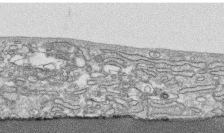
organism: Human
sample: CRL-1474